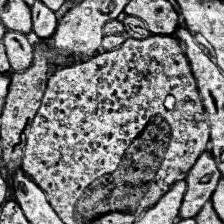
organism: Human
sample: Temporal Lobe